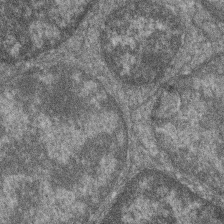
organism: Zebrafish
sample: Cilia; retinal pigment epithelium